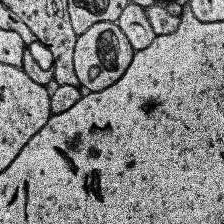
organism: Human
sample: Temporal Lobe